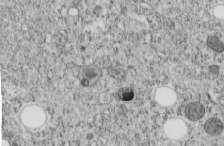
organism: C. elegans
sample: C. elegans embryo early stage